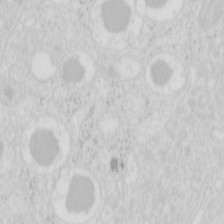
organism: Mouse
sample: Pancreas